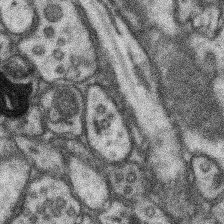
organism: Mouse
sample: Somatosensory cortex neuropil